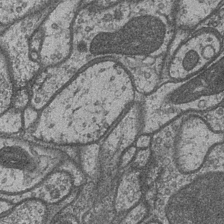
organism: Drosophila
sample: Optic medulla